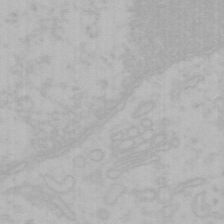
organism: Mouse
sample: Choroid plexus